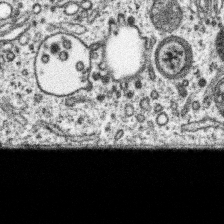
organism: Human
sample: HeLa cells